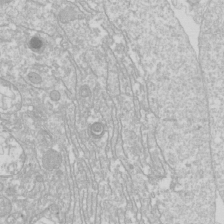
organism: Drosophila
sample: Cell division; meiosis; drosophila spermatocytes